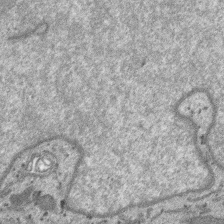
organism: Human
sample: Lung epithelial cells infected with SARS-CoV-2